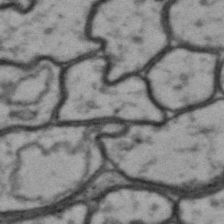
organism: Drosophila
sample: Brain